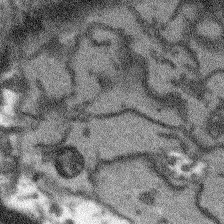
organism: Arabidopsis thaliana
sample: Root tip